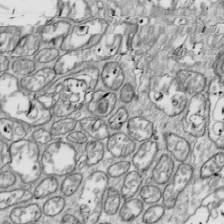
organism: Drosophila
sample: Cell division; meiosis; drosophila spermatocytes